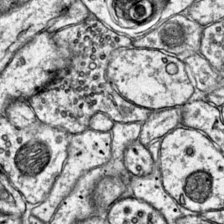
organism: Mouse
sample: Primary visual cortex